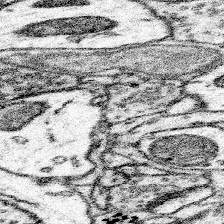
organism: Mouse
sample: Somatosensory cortex neuropil